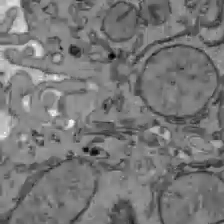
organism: C57BL Mouse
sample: Liver